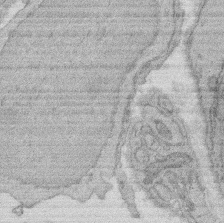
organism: Rat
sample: Salivary granule